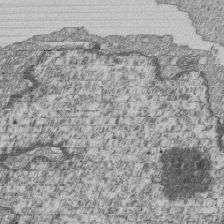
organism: Human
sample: MDA-MB-231 cells